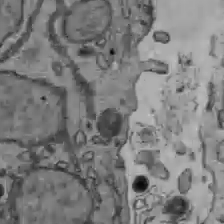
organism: C57BL Mouse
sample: Liver